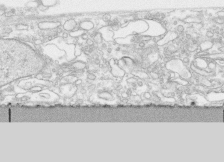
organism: Human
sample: CRL-1474